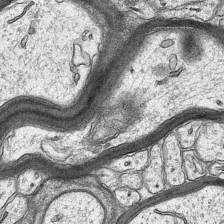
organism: Mouse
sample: CA1 Hippocampus